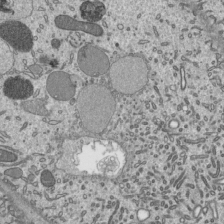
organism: Mouse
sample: Mouse epididymis efferent ductule cilia